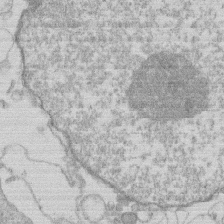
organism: Human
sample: Macrophage cells